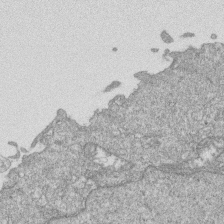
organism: Human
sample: HeLa cell HIV synapse